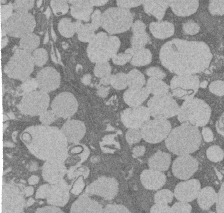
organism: Rat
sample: Salivary granule